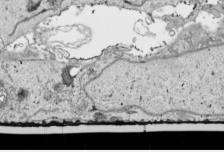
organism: Human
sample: Mitochondria in HCT116 cells